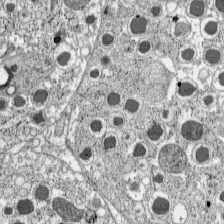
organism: C57BL Mouse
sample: Pancreatic islet